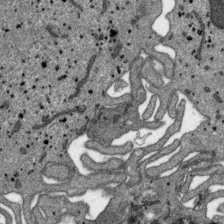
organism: Human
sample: Lung epithelial cells, uninfected (mock) control